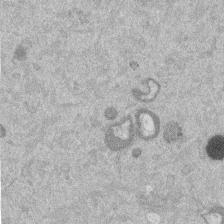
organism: Mouse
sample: Dividing mouse embryo 1 cell stage